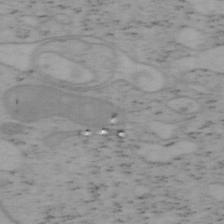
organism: Mouse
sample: OT-I killer T cells with ID8 ovarian cancer cells